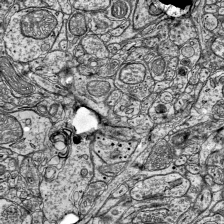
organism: Mouse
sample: Visual Cortex